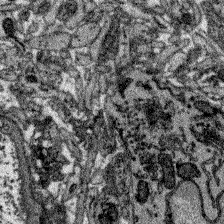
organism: Zebrafish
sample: Larval olfactory bulb